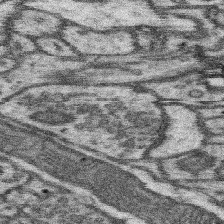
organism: Mouse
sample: Somatosensory cortex neuropil